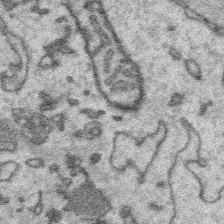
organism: Platynereis dumerilii